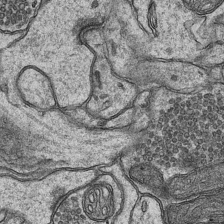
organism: Mouse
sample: CA1 Hippocampus